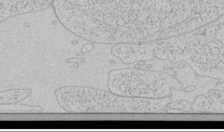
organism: Human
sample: Mitochondria in HCT116 cells